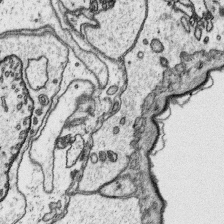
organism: Platynereis dumerilii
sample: Parapodia